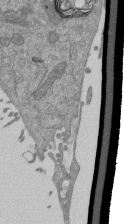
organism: Mouse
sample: ED-1 cell nuclei; centrioles